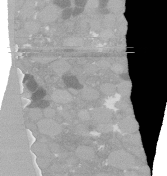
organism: C. elegans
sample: C. elegans oocyte; sperm cells